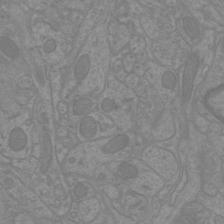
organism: Mouse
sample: Cortical neurons